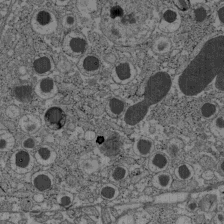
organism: C57BL Mouse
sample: Pancreatic islet